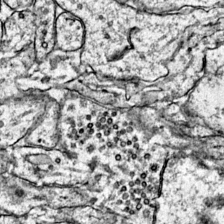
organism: Mouse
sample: Primary visual cortex